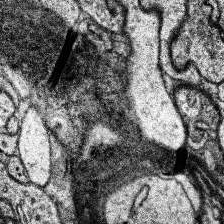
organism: Human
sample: Temporal Lobe